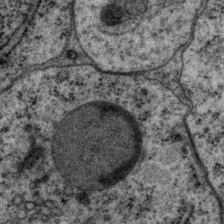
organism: P. pacificus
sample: Pharynx